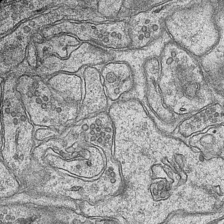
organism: Mouse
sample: CA1 Hippocampus